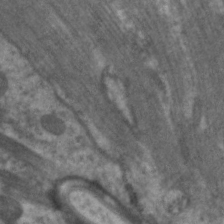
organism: C. elegans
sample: Pharynx